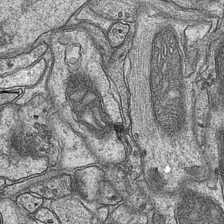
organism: Mouse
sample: CA1 Hippocampus